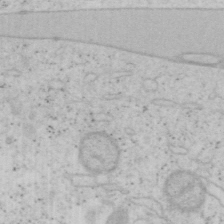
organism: Human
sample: HeLa cells